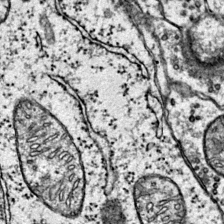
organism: Mouse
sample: Primary visual cortex